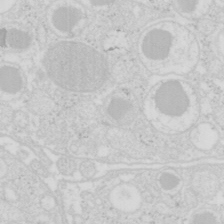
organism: Mouse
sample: Pancreas